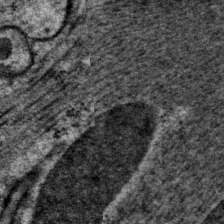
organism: P. pacificus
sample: Pharynx